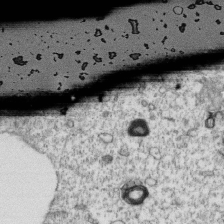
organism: Mouse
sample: Activated OT-1 CD8+ T cells